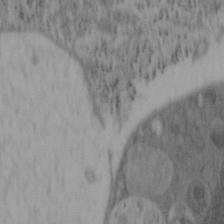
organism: Mouse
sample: OT-I killer T cells with ID8 ovarian cancer cells